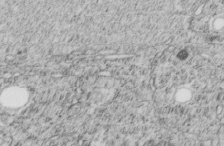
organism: C. elegans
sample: C. elegans embryo early stage